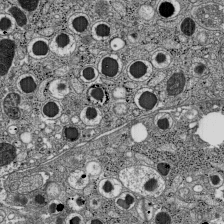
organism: C57BL Mouse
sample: Pancreatic islet